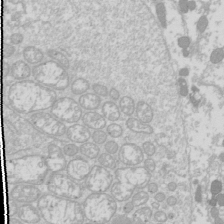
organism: Drosophila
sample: Cell division; meiosis; drosophila spermatocytes